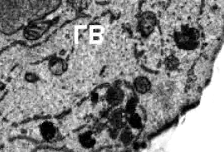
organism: Human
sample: HeLa cells